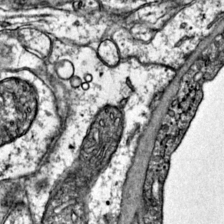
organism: Mouse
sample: Primary visual cortex